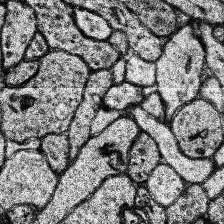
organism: Human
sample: Temporal Lobe